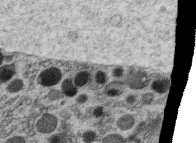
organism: C. elegans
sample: C. elegans oocyte; sperm cells